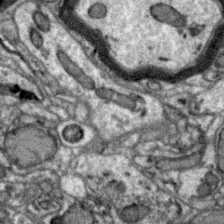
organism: Zebra finch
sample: Brain